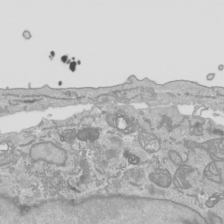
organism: Human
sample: Mitochondria in HCT116 cells